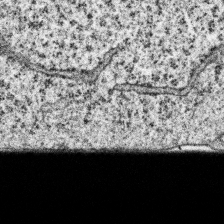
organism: Human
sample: HeLa cells